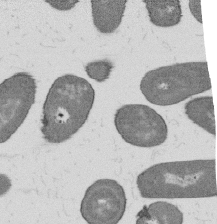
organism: B. subtilis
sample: Bacterial spore